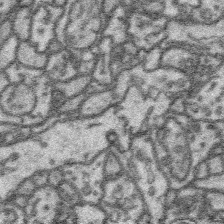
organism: Platynereis dumerilii